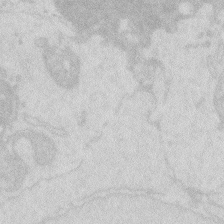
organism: Zebrafish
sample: Macrophage